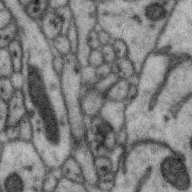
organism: Zebra finch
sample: Brain